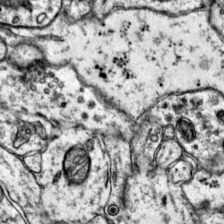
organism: Mouse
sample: Primary visual cortex